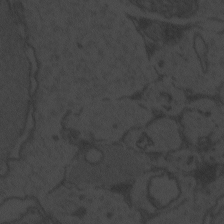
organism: Zebrafish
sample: Macrophage infected with Toxoplasma gondii